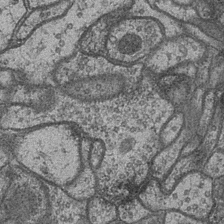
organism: Drosophila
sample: Optic medulla